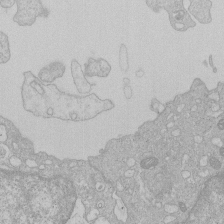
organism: Human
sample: Macrophage cells